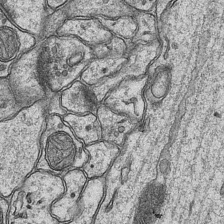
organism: Mouse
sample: CA1 Hippocampus